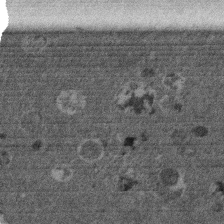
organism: Mouse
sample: Dividing mouse embryo 1 cell stage